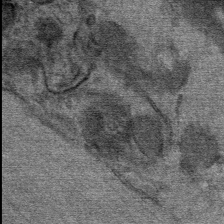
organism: Mouse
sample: Mouse Salivary gland